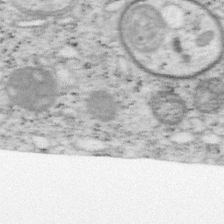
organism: Mouse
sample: OT-I killer T cells with ID8 ovarian cancer cells